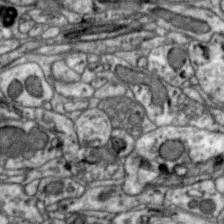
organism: Zebra finch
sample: Brain